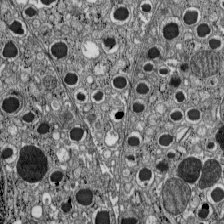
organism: C57BL Mouse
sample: Pancreatic islet